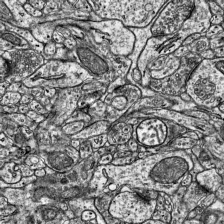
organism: Mouse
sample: Visual Cortex